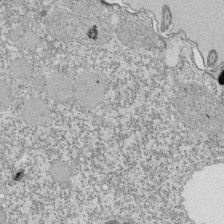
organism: Tetrahymena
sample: Cilia in tetrahymena